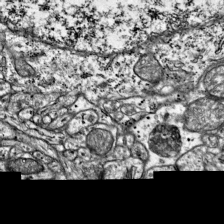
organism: Mouse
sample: Visual Cortex